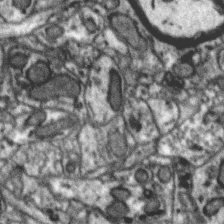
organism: Zebra finch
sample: Brain